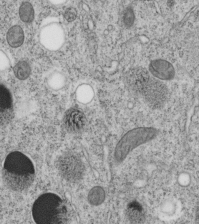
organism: C. elegans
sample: C. elegans embryo early stage